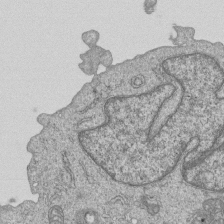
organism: Human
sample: MDA-MB-231 cells